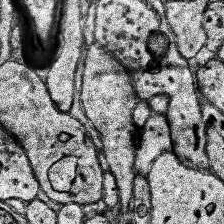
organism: Human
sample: Temporal Lobe